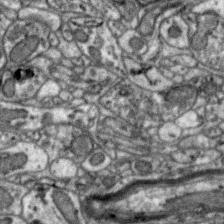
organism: Zebra finch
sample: Brain